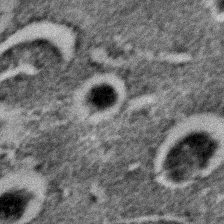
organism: C. elegans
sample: C. elegans embryo